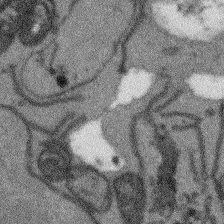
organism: Arabidopsis thaliana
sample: Root tip